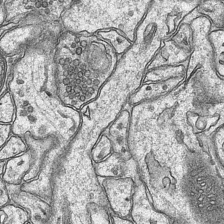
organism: Mouse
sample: CA1 Hippocampus